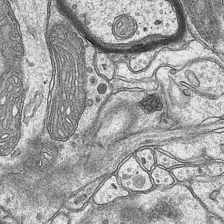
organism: Mouse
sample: CA1 Hippocampus